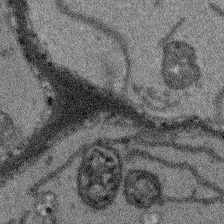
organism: Arabidopsis thaliana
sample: Root tip